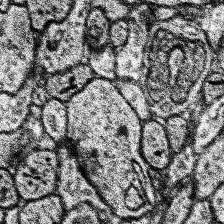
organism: Human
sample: Temporal Lobe